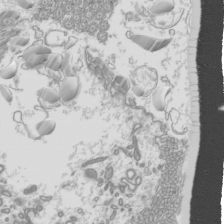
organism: Mouse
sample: Cilia; mouse epididymis